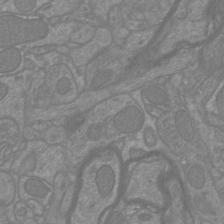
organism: Mouse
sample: Cortical neurons